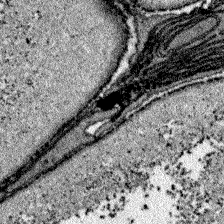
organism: Zebrafish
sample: Larval olfactory bulb